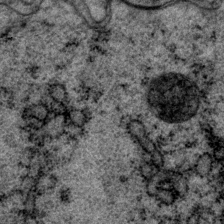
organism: P. pacificus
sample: Pharynx